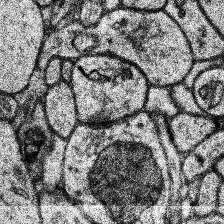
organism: Human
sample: Temporal Lobe